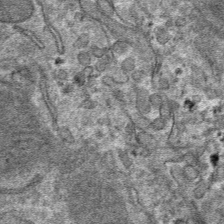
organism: Mouse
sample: Mouse hepatocytes